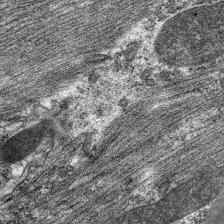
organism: C. elegans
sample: Pharynx